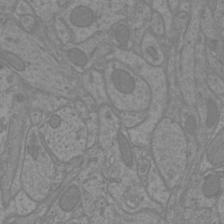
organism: Mouse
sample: Cortical neurons